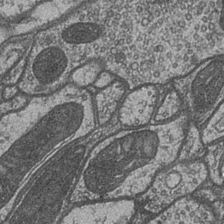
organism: Drosophila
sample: Optic medulla